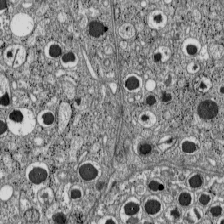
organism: C57BL Mouse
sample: Pancreatic islet